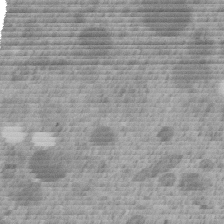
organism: C. elegans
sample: C. elegans embryo early stage